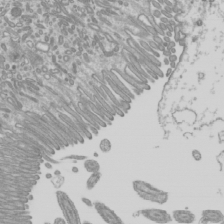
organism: Mouse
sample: Cilia; mouse epididymis